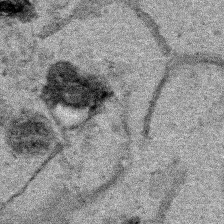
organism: Human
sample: Mitochondria in HCT116 cells